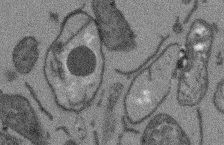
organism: Arabidopsis thaliana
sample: Root tip